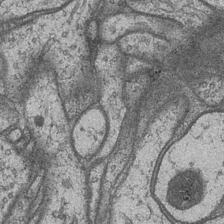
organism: Drosophila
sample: Optic medulla